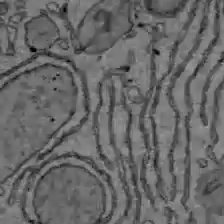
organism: C57BL Mouse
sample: Liver